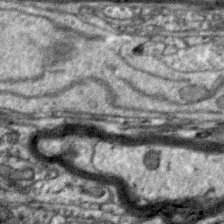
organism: Zebra finch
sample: Brain